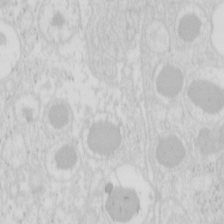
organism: Mouse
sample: Pancreas